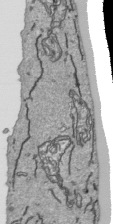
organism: Human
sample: Mitochondria in HCT116 cells